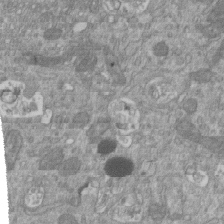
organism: Mouse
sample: ED-1 cell nuclei; centrioles